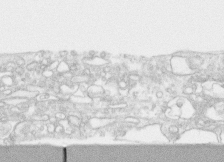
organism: Human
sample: CRL-1474